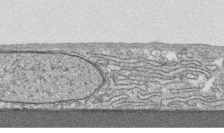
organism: Human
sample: CRL-1474